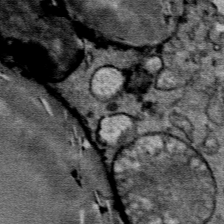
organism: Mouse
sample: Mouse Salivary gland